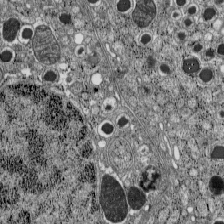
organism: C57BL Mouse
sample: Pancreatic islet